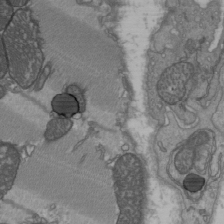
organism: C57BL Mouse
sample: Heart